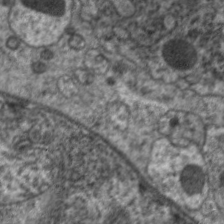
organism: C. elegans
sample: Pharynx